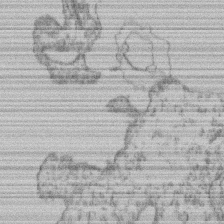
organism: Mouse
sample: T cell stromal cell synapse